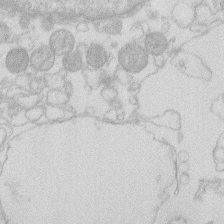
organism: Human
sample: Macrophage cells